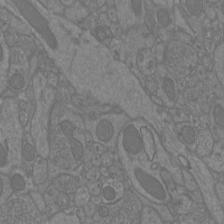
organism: Mouse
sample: Cortical neurons